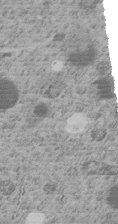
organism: C. elegans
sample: C. elegans embryo early stage